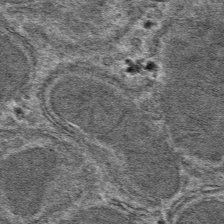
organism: Mouse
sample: Mouse hepatocytes